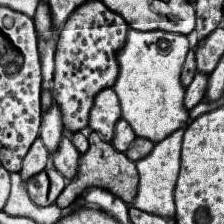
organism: Human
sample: Temporal Lobe